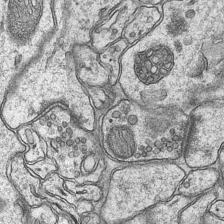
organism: Mouse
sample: CA1 Hippocampus